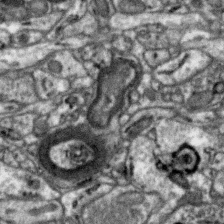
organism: Zebra finch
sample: Brain